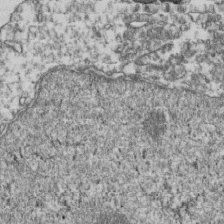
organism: Human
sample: Activated Jurkat CD4+ T cells